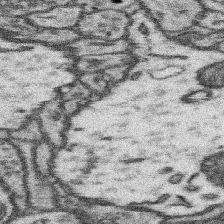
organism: Mouse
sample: Somatosensory cortex neuropil